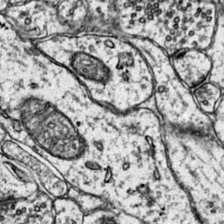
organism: Mouse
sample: Primary visual cortex